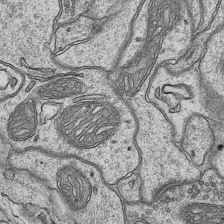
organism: Mouse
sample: CA1 Hippocampus